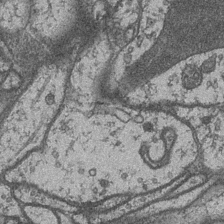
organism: Drosophila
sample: Optic medulla